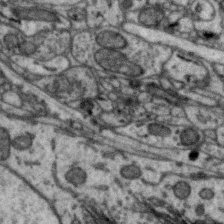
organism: Zebra finch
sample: Brain